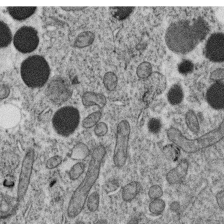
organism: C. elegans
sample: C. elegans oocyte; sperm cells